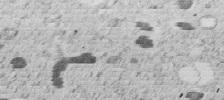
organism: C. elegans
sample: C. elegans embryo early stage